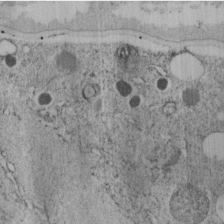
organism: C. elegans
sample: C. elegans embryo early stage